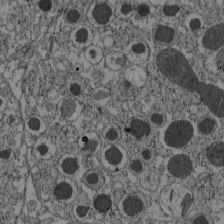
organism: C57BL Mouse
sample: Pancreatic islet